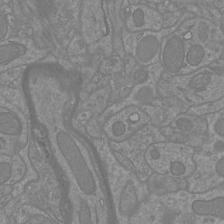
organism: Mouse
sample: Cortical neurons